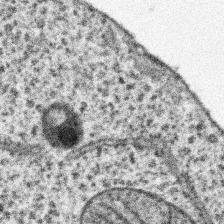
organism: Human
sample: HeLa cells